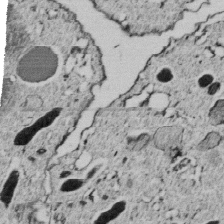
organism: C. elegans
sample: C. elegans embryo early stage